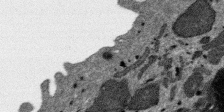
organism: Human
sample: Lung epithelial cells, uninfected (mock) control